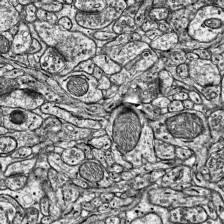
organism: Mouse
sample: Visual Cortex